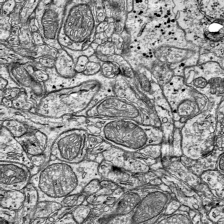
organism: Mouse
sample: Visual Cortex